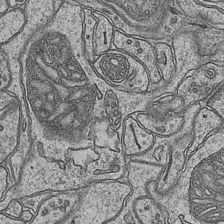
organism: Mouse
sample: CA1 Hippocampus